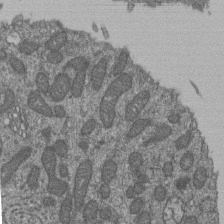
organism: Human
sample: Retinal organoid Rod and Cone cells